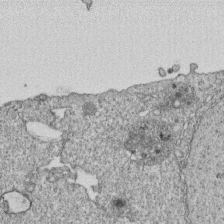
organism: Human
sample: HeLa cell HIV synapse